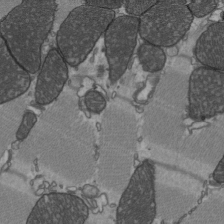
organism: C57BL Mouse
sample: Heart